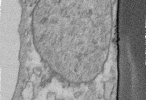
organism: Human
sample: Centriole in fibroblast cells